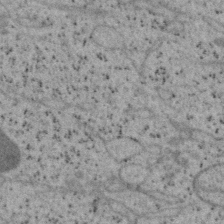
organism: Human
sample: HeLa cells